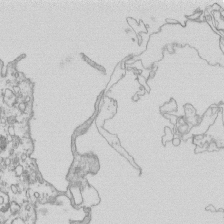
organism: Mouse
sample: Macrophages